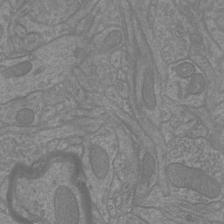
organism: Mouse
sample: Cortical neurons